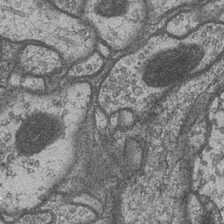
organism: Drosophila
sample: Optic medulla